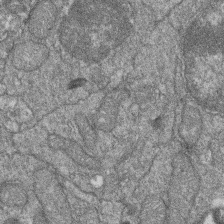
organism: Zebrafish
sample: Cilia; retinal pigment epithelium